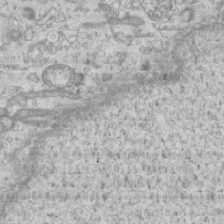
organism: Mouse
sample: Centriole in ependymal cells